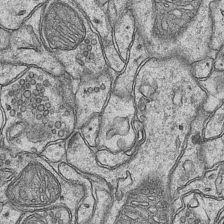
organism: Mouse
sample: CA1 Hippocampus